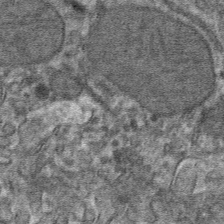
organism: Mouse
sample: Mouse hepatocytes